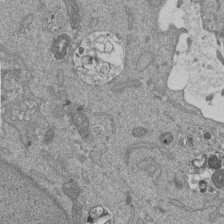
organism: Mouse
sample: ED-1 cell nuclei; centrioles